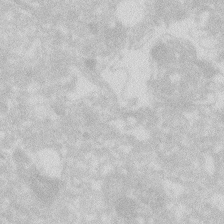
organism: Zebrafish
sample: Macrophage